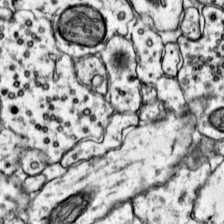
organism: Mouse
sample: Primary visual cortex